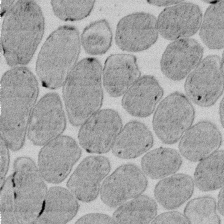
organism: E. coli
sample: Bacterial nucleoid